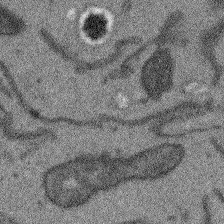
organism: Arabidopsis thaliana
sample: Root tip